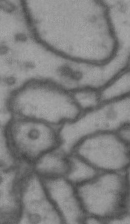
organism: Drosophila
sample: Brain